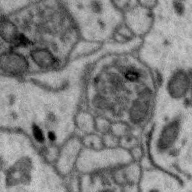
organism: Zebra finch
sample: Brain